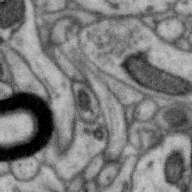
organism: Zebra finch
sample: Brain